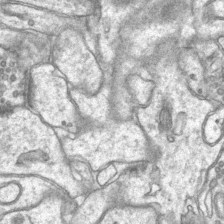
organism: Mouse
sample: CA1 Hippocampus